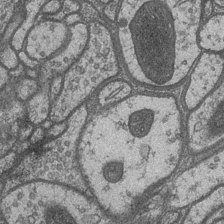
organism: Drosophila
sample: Optic medulla